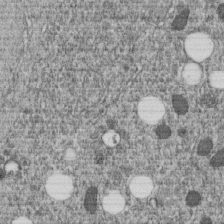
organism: C. elegans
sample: C. elegans embryo early stage